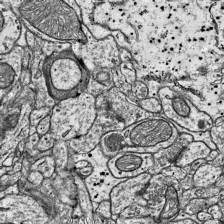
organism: Mouse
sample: Visual Cortex